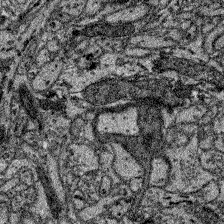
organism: Zebrafish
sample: Larval olfactory bulb